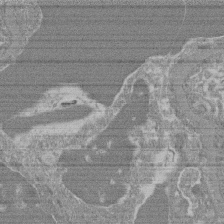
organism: Mouse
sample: Glomerulus